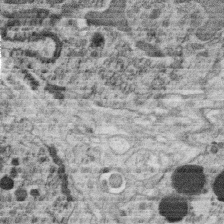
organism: C. elegans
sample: C. elegans oocyte; sperm cells